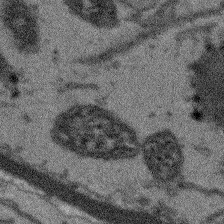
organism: Arabidopsis thaliana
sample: Root tip